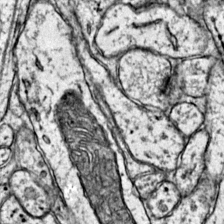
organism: Mouse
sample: Primary visual cortex